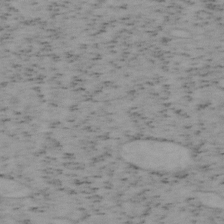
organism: Mouse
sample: OT-I killer T cells with ID8 ovarian cancer cells